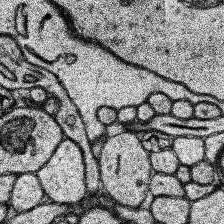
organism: Human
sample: Temporal Lobe